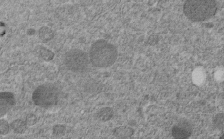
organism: C. elegans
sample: C. elegans embryo early stage